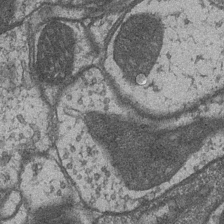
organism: Drosophila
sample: Optic medulla